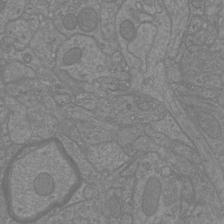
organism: Mouse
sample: Cortical neurons